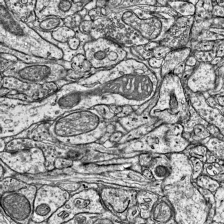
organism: Mouse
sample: Visual Cortex